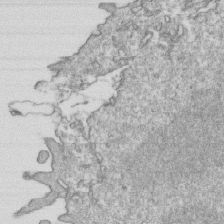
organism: Mouse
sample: Activated OT-1 CD8+ T cells